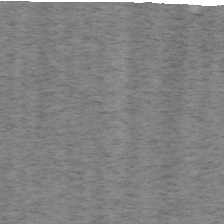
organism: Mouse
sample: OT-I killer T cells with ID8 ovarian cancer cells